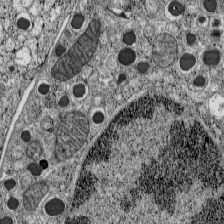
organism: C57BL Mouse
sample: Pancreatic islet